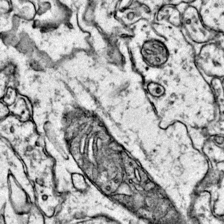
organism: Mouse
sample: Primary visual cortex